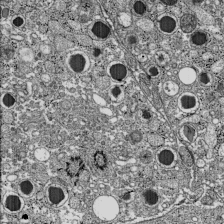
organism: C57BL Mouse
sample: Pancreatic islet